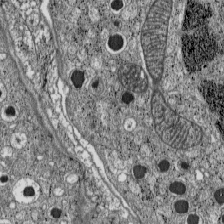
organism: C57BL Mouse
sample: Pancreatic islet